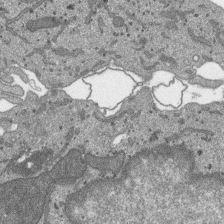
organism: Human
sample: Lung epithelial cells infected with SARS-CoV-2